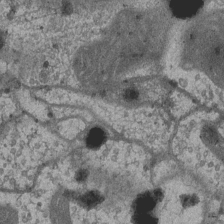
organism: Drosophila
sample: Optic medulla